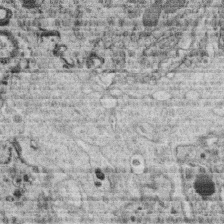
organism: C. elegans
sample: C. elegans oocyte; sperm cells